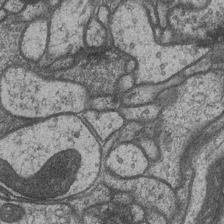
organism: Drosophila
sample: Optic medulla